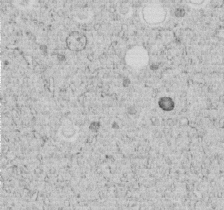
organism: C. elegans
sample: C. elegans embryo early stage